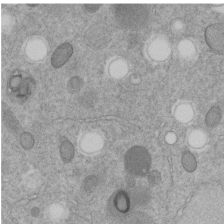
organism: C. elegans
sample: C. elegans embryo early stage